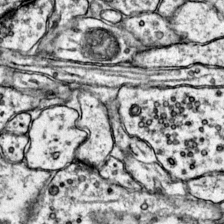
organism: Mouse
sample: Primary visual cortex